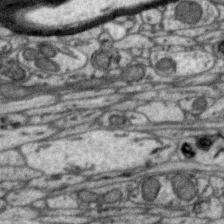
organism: Zebra finch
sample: Brain